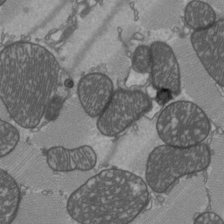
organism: C57BL Mouse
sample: Heart